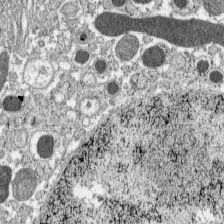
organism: C57BL Mouse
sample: Pancreatic islet